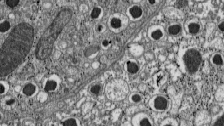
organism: C57BL Mouse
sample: Pancreatic islet